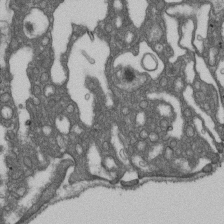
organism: Drosophila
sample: Nephrocyte